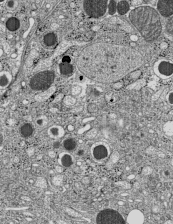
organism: C57BL Mouse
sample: Pancreatic islet